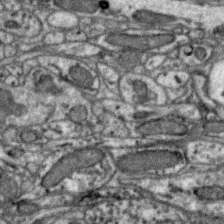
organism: Zebra finch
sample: Brain